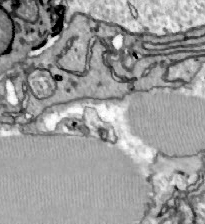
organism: Zebrafish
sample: Actinotrichia fibers